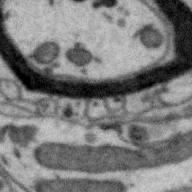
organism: Zebra finch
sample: Brain